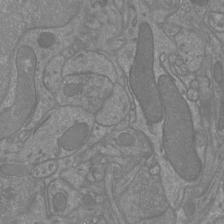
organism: Mouse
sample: Cortical neurons